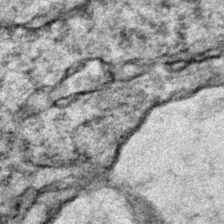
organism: Zebrafish